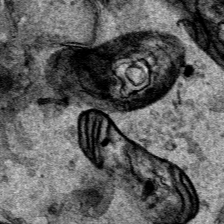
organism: Human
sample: Mitochondria in HCT116 cells